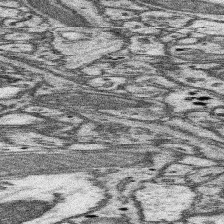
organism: Mouse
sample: Somatosensory cortex neuropil